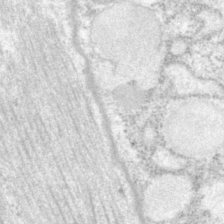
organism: P. pacificus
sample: Pharynx